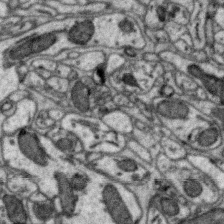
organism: Zebra finch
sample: Brain